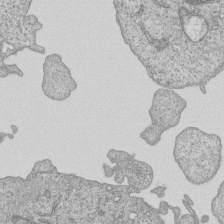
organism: Human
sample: MDA-MB-231 cells